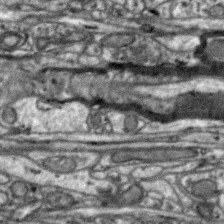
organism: Zebra finch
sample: Brain